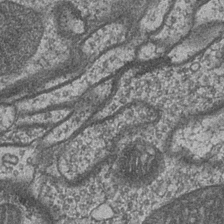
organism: Drosophila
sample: Optic medulla